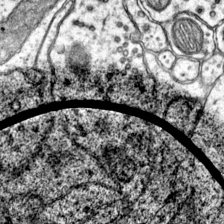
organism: Mouse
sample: Primary visual cortex